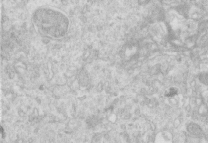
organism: Human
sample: Centriole in RPE cells